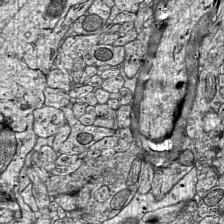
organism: Mouse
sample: Visual Cortex